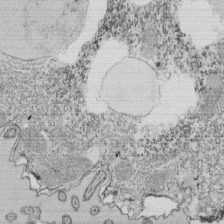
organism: Tetrahymena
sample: Cilia in tetrahymena